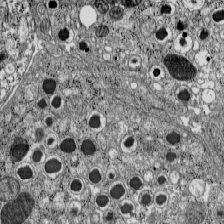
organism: C57BL Mouse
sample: Pancreatic islet